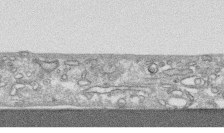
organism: Human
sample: CRL-1474